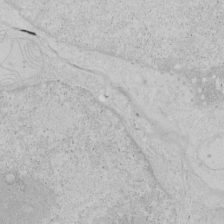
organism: Human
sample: Mitochondria in HCT116 cells